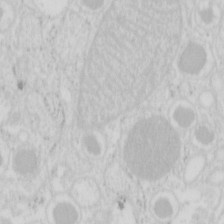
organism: Mouse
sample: Pancreas